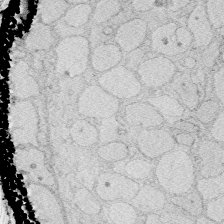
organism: Zebrafish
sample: Whole-Brain